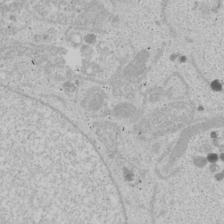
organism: Human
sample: Mitochondria in U2OS cells